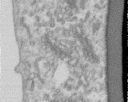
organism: Human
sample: Centriole in RPE cells